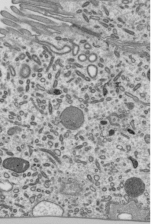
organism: Mouse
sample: Mouse epididymis efferent ductule cilia